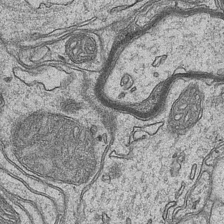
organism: Mouse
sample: CA1 Hippocampus